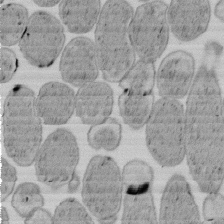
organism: E. coli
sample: Bacterial nucleoid